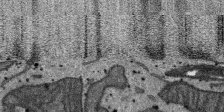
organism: Human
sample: Lung epithelial cells, uninfected (mock) control